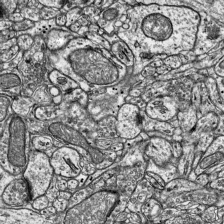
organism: Mouse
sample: Visual Cortex